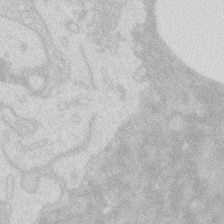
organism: Zebrafish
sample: Macrophage